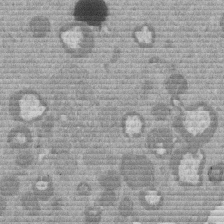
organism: Mouse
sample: Dividing mouse embryo 1 cell stage